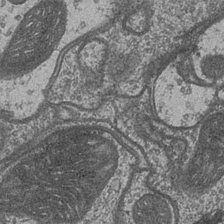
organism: Drosophila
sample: Optic medulla